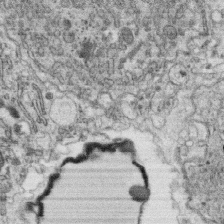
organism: C. elegans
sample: C. elegans oocyte; sperm cells